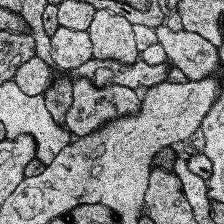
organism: Human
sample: Temporal Lobe